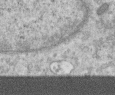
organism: Human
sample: Centriole in RPE cells